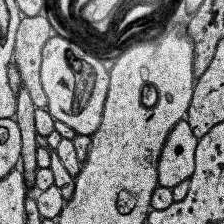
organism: Human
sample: Temporal Lobe